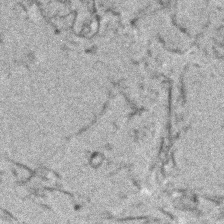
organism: Human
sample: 1205lu cells